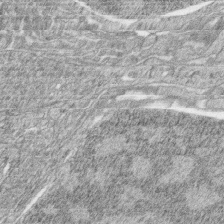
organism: Zebrafish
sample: synaptic ribbons in rod cells and cone cells